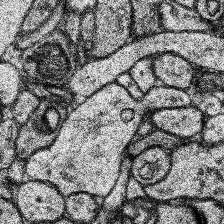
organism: Human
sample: Temporal Lobe